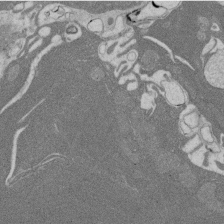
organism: Rat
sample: Salivary granule